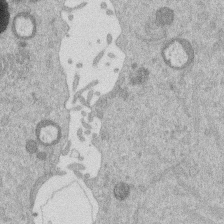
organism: Mouse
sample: Dividing mouse embryo 1 cell stage